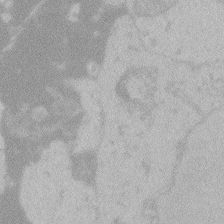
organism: Zebrafish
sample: Macrophage infected with Toxoplasma gondii